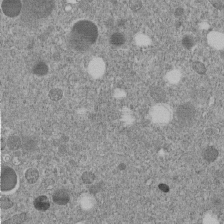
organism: C. elegans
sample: C. elegans embryo early stage